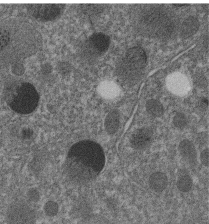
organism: C. elegans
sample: C. elegans embryo early stage